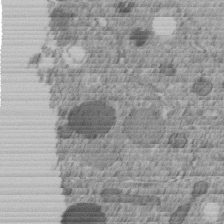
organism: C. elegans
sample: C. elegans embryo early stage